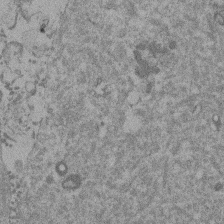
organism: Mouse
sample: Dividing mouse embryo 1 cell stage